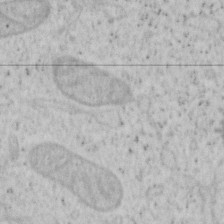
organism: Human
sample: HeLa cells